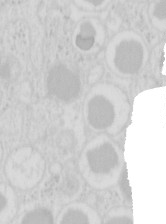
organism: Mouse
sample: Pancreas